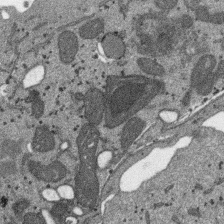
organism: Human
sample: Lung epithelial cells infected with SARS-CoV-2